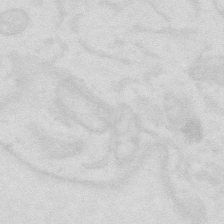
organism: Human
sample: HeLa cells